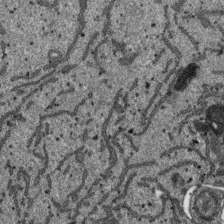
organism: Human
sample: Lung epithelial cells infected with SARS-CoV-2